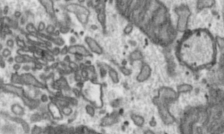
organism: Toxoplasma gondii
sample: Parasites in a vacuole inside a host cell